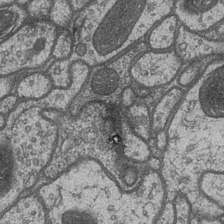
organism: Drosophila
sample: Optic medulla